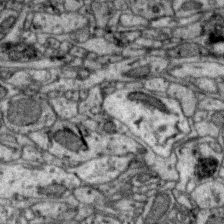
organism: Zebra finch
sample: Brain